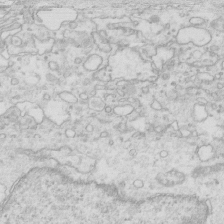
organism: Mouse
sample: Multiciliated cells